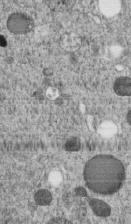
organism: C. elegans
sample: C. elegans embryo early stage